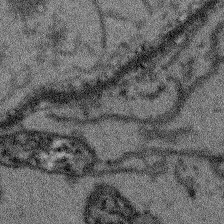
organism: Arabidopsis thaliana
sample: Root tip